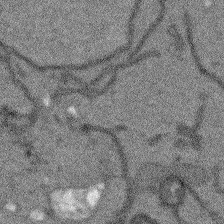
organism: Arabidopsis thaliana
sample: Root tip